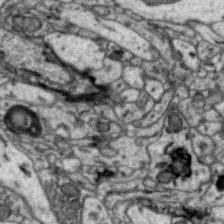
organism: Zebra finch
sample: Brain